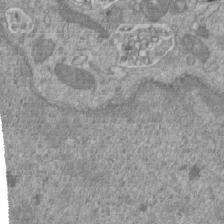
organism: Mouse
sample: ED-1 cell nuclei; centrioles